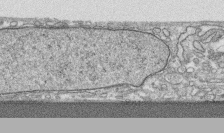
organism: Human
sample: CRL-1474